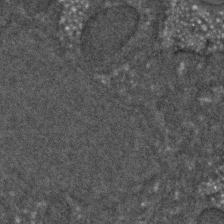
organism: C. elegans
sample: C. elegans embryo